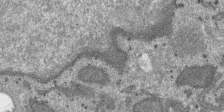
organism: Human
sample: Lung epithelial cells infected with SARS-CoV-2